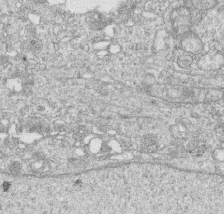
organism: Human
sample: HeLa cell HIV synapse